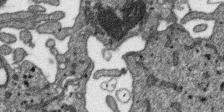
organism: Human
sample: Lung epithelial cells infected with SARS-CoV-2